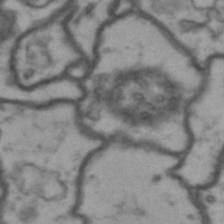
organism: Drosophila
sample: Brain